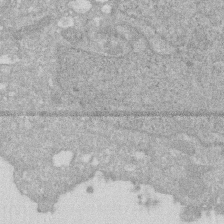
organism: Human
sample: HIV infected U937 cells